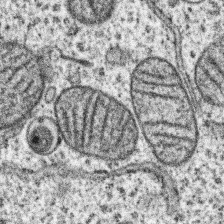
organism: Human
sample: HeLa cells